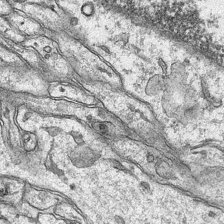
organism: Mouse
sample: CA1 Hippocampus